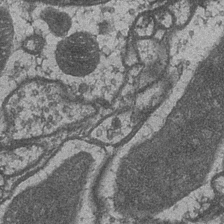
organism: Drosophila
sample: Optic medulla